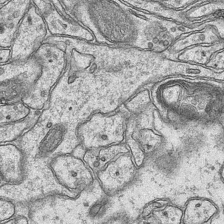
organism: Mouse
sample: CA1 Hippocampus